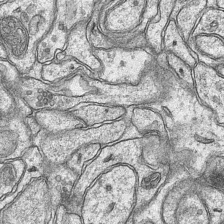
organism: Mouse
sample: CA1 Hippocampus